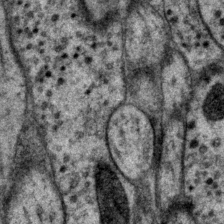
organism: P. pacificus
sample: Pharynx